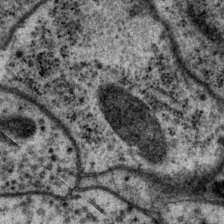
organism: P. pacificus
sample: Pharynx